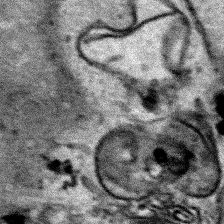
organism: Human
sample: Mitochondria in HCT116 cells